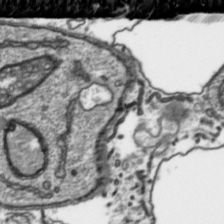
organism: Toxoplasma gondii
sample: Parasites in a vacuole inside a host cell